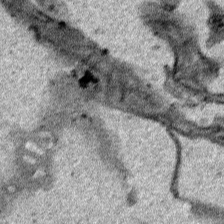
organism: Human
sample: Mitochondria in HCT116 cells